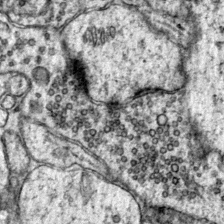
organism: Mouse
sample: Primary visual cortex